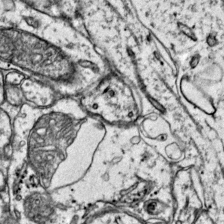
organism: Mouse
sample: Primary visual cortex